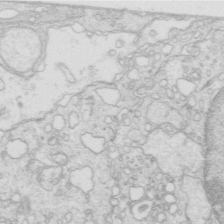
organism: Mouse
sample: Multiciliated cells